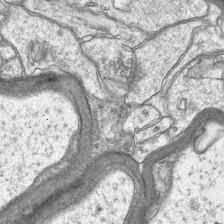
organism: Mouse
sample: CA1 Hippocampus